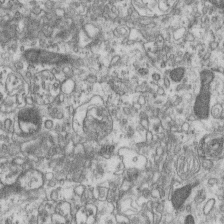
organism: Mouse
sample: Centriole in ependymal cells